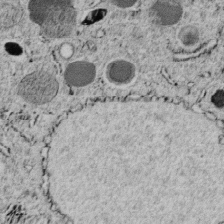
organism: C. elegans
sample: C. elegans embryo early stage